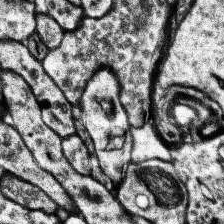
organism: Human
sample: Temporal Lobe